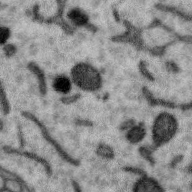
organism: Zebra finch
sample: Brain